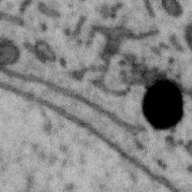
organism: Zebra finch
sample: Brain